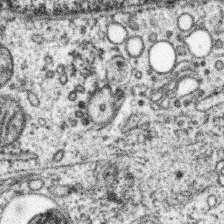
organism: Human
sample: HeLa cells